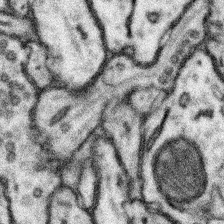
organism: Mouse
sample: Somatosensory cortex neuropil